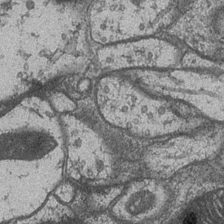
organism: Drosophila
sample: Optic medulla